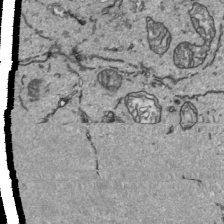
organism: Human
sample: Mitochondria in HCT116 cells